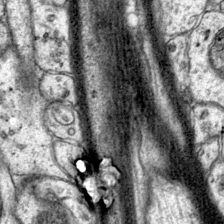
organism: Mouse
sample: Primary visual cortex